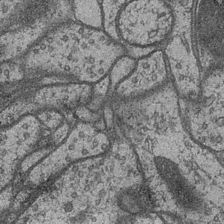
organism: Drosophila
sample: Optic medulla